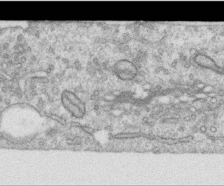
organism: Human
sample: Centriole in RPE cells